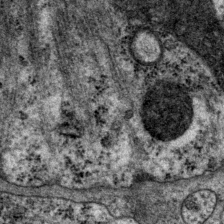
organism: P. pacificus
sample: Pharynx